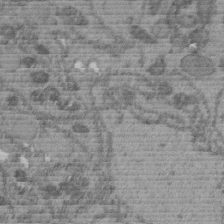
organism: C. elegans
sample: C. elegans embryo early stage